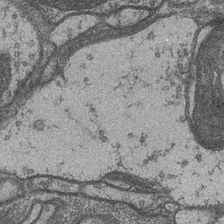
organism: Drosophila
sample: Optic medulla